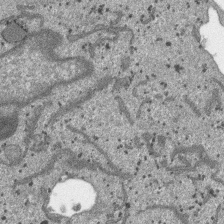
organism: Human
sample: Lung epithelial cells infected with SARS-CoV-2